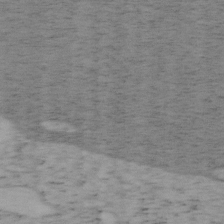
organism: Mouse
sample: OT-I killer T cells with ID8 ovarian cancer cells